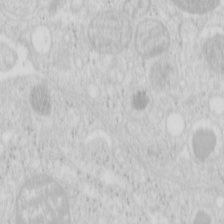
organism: Mouse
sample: Pancreas